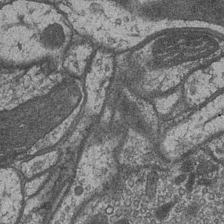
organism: Drosophila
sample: Optic medulla